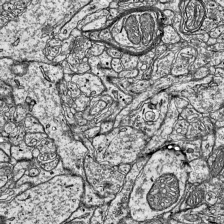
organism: Mouse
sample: Visual Cortex